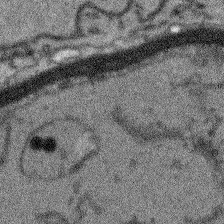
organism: Arabidopsis thaliana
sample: Root tip